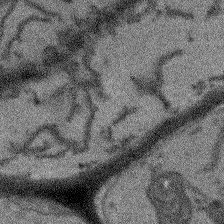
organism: Arabidopsis thaliana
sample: Root tip